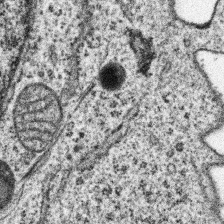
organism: Human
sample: HeLa cells